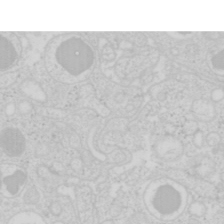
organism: Mouse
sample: Pancreas